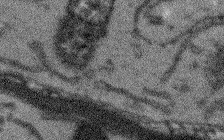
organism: Arabidopsis thaliana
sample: Root tip